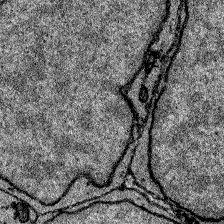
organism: Zebrafish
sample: Larval olfactory bulb